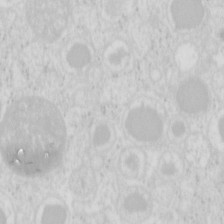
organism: Mouse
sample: Pancreas